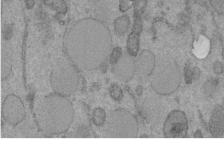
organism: C. elegans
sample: C. elegans embryo early stage